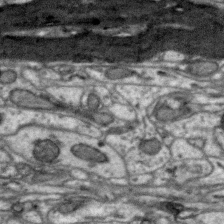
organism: Zebra finch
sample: Brain